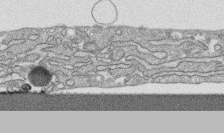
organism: Human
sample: CRL-1474